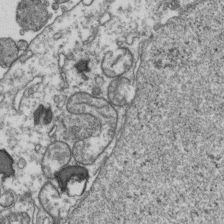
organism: Human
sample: Activated Jurkat CD4+ T cells